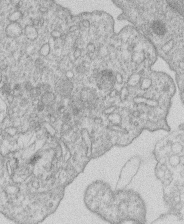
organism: Human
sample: Macrophage cells